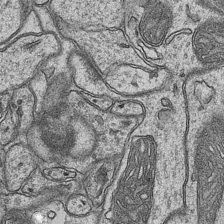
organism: Mouse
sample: CA1 Hippocampus